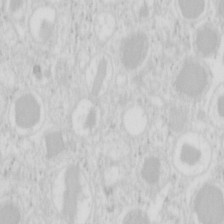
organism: Mouse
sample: Pancreas